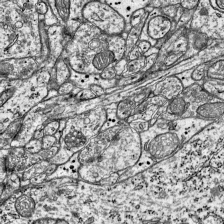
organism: Mouse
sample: Visual Cortex